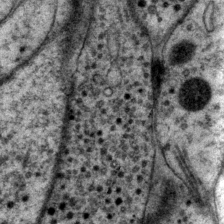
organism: P. pacificus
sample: Pharynx